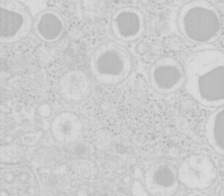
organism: Mouse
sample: Pancreas